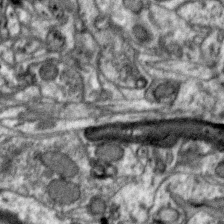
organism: Zebra finch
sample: Brain